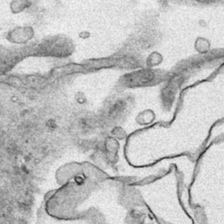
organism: Human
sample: Mitochondria in HCT116 cells